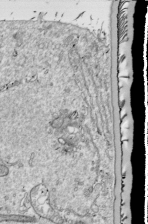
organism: Drosophila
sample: Cell division; meiosis; drosophila spermatocytes